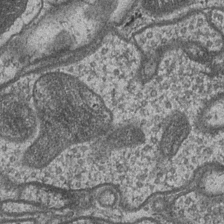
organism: Drosophila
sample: Optic medulla